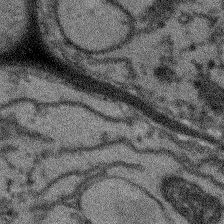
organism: Arabidopsis thaliana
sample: Root tip